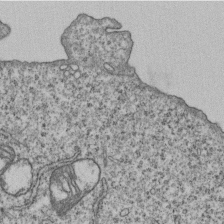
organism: Human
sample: MDA-MB-231 cells